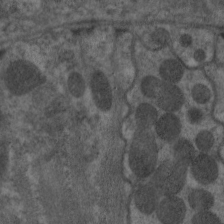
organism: C. elegans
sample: Pharynx